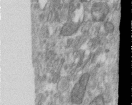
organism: Human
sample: Centriole in RPE cells